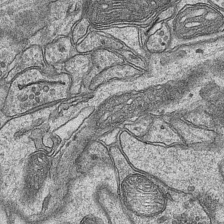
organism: Mouse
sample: CA1 Hippocampus